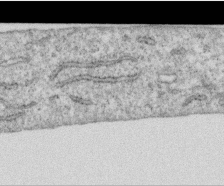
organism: Human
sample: Centriole in RPE cells